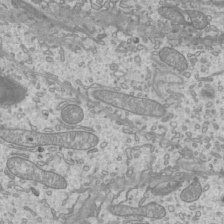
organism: Mouse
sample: Cilia; mouse epididymis